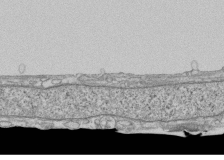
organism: Human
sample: Fibroblast cells